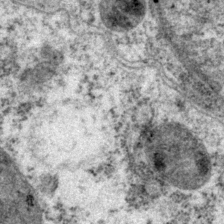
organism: P. pacificus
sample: Pharynx